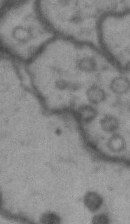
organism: Drosophila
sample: Brain